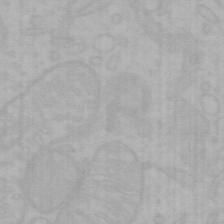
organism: Mouse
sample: Choroid plexus